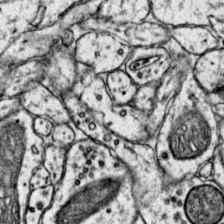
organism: Mouse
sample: Primary visual cortex